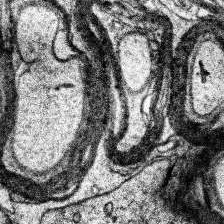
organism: Human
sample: Temporal Lobe